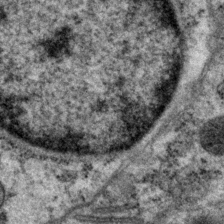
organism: P. pacificus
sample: Pharynx